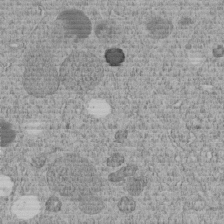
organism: C. elegans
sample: C. elegans embryo early stage